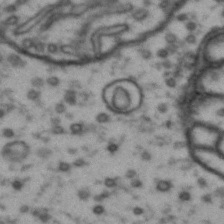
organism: Drosophila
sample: Brain